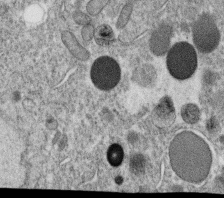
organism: C. elegans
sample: C. elegans oocyte; sperm cells